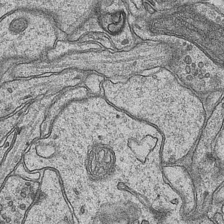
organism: Mouse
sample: CA1 Hippocampus